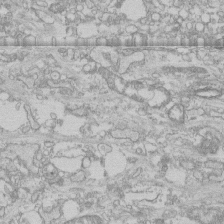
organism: Human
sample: CRL-1474